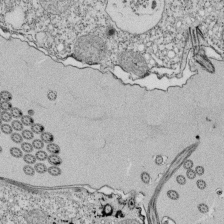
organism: Tetrahymena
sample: Cilia in tetrahymena